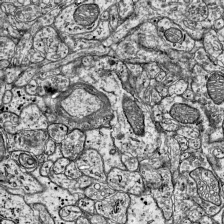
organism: Mouse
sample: Visual Cortex